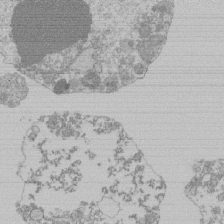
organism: Mouse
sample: Activated Pmel transgenic CD8+ T Cells